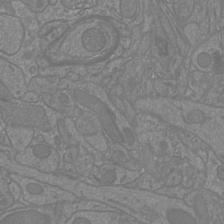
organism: Mouse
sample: Cortical neurons